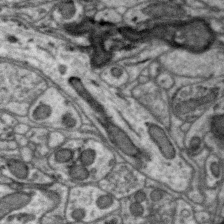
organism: Zebra finch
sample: Brain